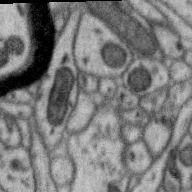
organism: Zebra finch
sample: Brain